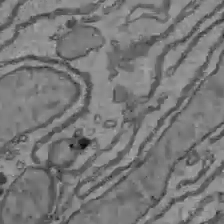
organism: C57BL Mouse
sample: Liver